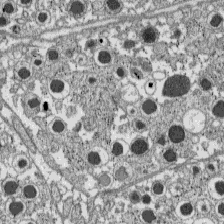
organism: C57BL Mouse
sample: Pancreatic islet